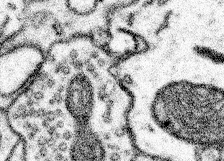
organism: Mouse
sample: Somatosensory cortex neuropil